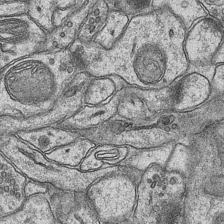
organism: Mouse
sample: CA1 Hippocampus